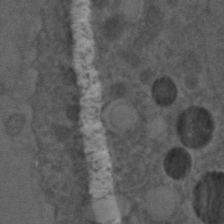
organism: C. elegans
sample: C. elegans embryo